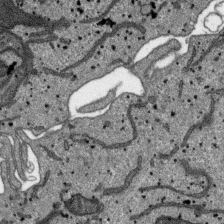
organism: Human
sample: Lung epithelial cells, uninfected (mock) control